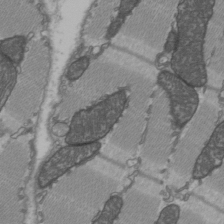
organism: C57BL Mouse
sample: Heart